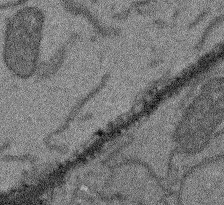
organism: Arabidopsis thaliana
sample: Root tip